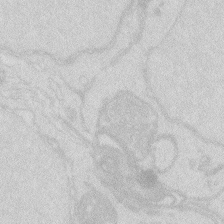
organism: Zebrafish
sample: Macrophage